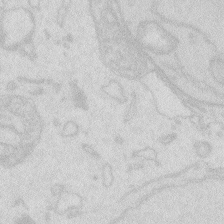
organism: Zebrafish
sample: Macrophage